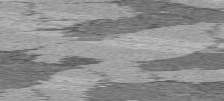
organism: C57BL Mouse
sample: Heart